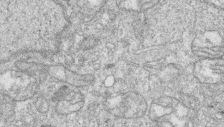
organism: Human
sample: HeLa cell HIV synapse